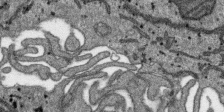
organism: Human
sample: Lung epithelial cells, uninfected (mock) control